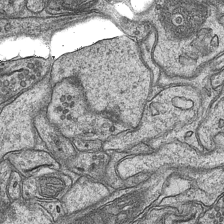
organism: Mouse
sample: CA1 Hippocampus